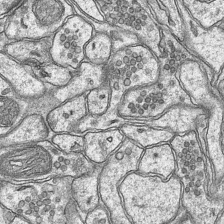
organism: Mouse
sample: CA1 Hippocampus